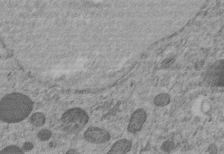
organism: C. elegans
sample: C. elegans embryo early stage